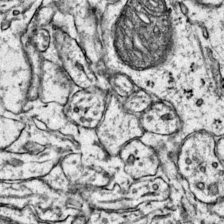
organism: Mouse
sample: Primary visual cortex